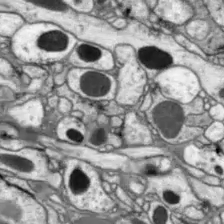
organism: Drosophila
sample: Optic lobe